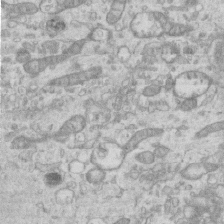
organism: Mouse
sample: Centriole in ependymal cells